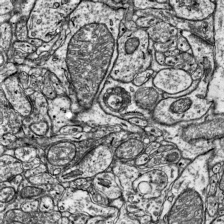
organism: Mouse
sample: Visual Cortex